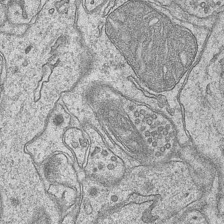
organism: Mouse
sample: CA1 Hippocampus